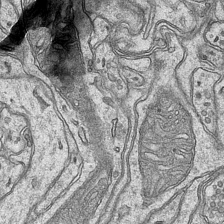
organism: Mouse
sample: CA1 Hippocampus